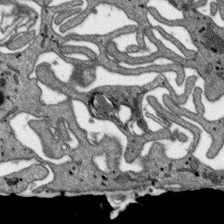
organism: Human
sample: Lung epithelial cells, uninfected (mock) control